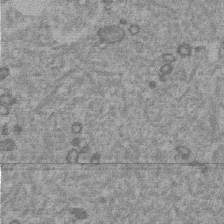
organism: Mouse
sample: Dividing mouse embryo 1 cell stage